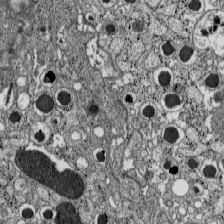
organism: C57BL Mouse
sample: Pancreatic islet